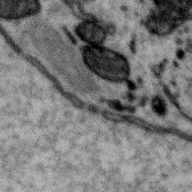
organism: Zebra finch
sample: Brain